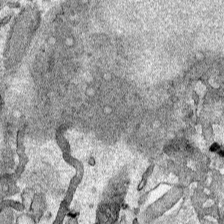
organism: Human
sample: Mitochondria in HCT116 cells